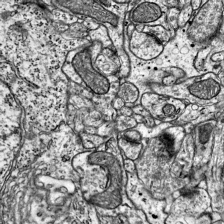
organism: Mouse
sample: Visual Cortex